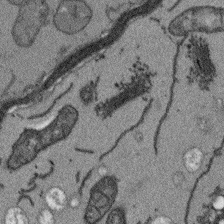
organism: Arabidopsis thaliana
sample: Root tip